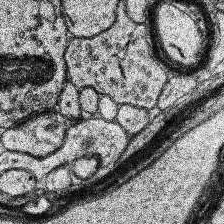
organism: Human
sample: Temporal Lobe